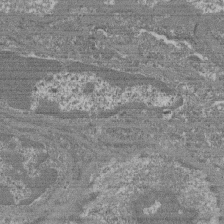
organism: Mouse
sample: Glomerulus